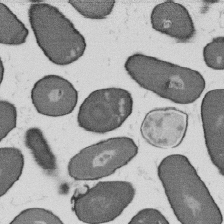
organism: B. subtilis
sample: Bacterial spore